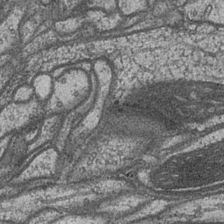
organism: Drosophila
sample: Optic medulla